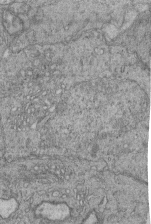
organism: Human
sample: Retinal organoid Rod and Cone cells